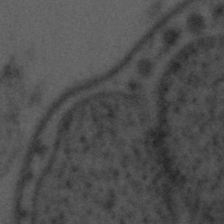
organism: Tuwongella immobilis